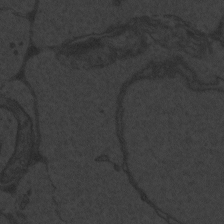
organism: Zebrafish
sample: Macrophage infected with Toxoplasma gondii